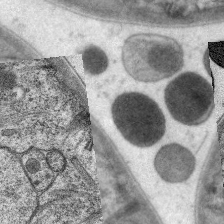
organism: C. elegans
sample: Pharynx